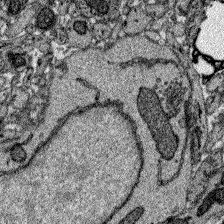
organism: Zebrafish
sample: Larval olfactory bulb